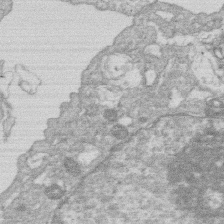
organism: Human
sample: Macrophage cells